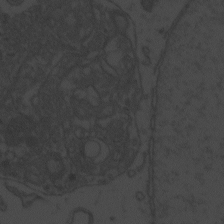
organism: Zebrafish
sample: Macrophage infected with Toxoplasma gondii